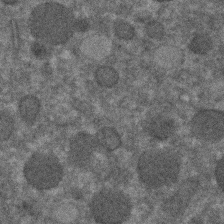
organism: C. elegans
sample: C. elegans embryo